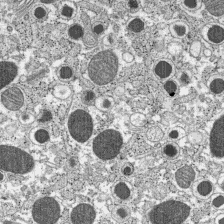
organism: C57BL Mouse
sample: Pancreatic islet